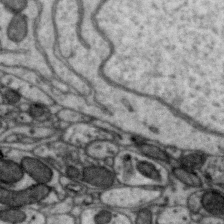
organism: Zebra finch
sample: Brain